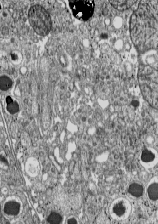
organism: C57BL Mouse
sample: Pancreatic islet